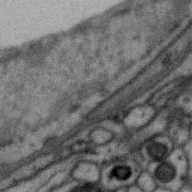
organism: Zebra finch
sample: Brain